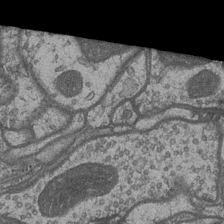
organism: Drosophila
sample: Optic medulla